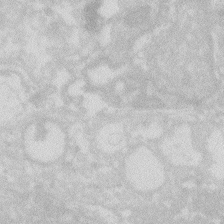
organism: Zebrafish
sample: Macrophage